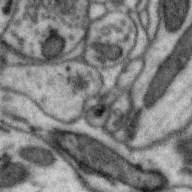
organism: Zebra finch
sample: Brain